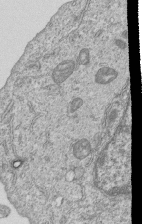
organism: Human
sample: MDA-MB-231 cells